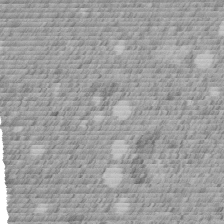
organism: C. elegans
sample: C. elegans embryo early stage